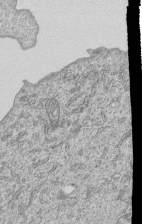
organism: Human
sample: MDA-MB-231 cells